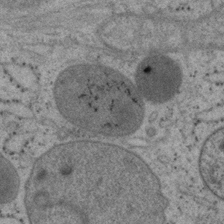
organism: Human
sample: HeLa cells